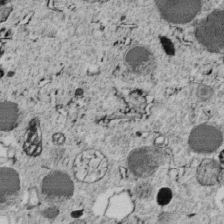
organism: C. elegans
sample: C. elegans embryo early stage